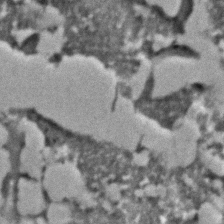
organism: C. elegans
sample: C. elegans embryo